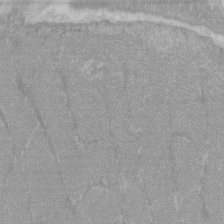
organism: C57BL Mouse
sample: Tibialis anterior muscle cell